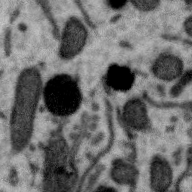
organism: Zebra finch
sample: Brain